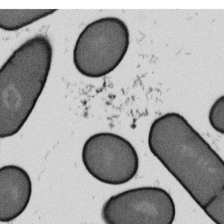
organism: B. subtilis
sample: Bacterial spore